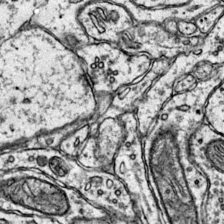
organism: Mouse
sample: Primary visual cortex